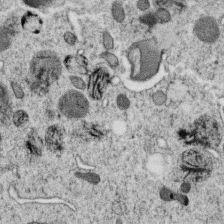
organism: C. elegans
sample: C. elegans oocyte; sperm cells